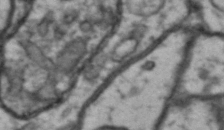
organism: Drosophila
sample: Brain